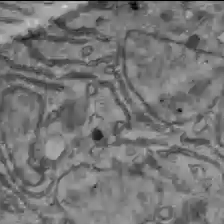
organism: C57BL Mouse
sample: Liver